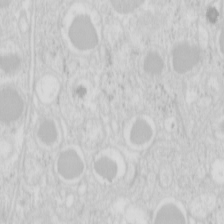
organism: Mouse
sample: Pancreas